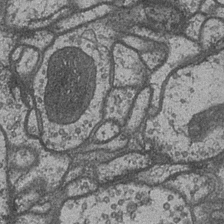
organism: Drosophila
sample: Optic medulla